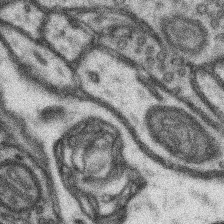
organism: Mouse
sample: Somatosensory cortex neuropil